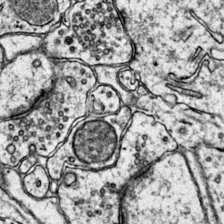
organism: Mouse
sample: Primary visual cortex